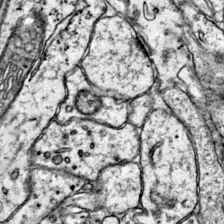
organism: Mouse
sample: Primary visual cortex